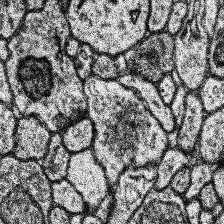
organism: Human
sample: Temporal Lobe